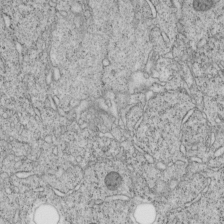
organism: C. elegans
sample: C. elegans embryo early stage